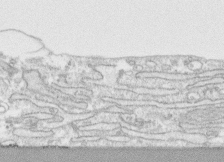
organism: Human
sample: CRL-1474